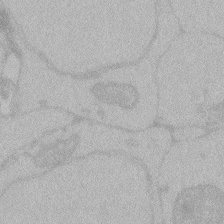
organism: Zebrafish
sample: Macrophage infected with Toxoplasma gondii